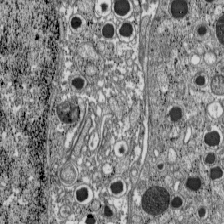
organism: C57BL Mouse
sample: Pancreatic islet